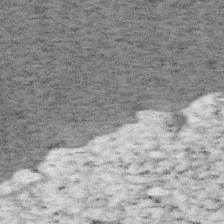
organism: Mouse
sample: OT-I killer T cells with ID8 ovarian cancer cells